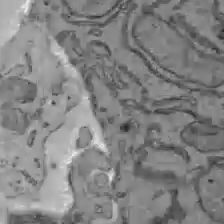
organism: C57BL Mouse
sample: Liver